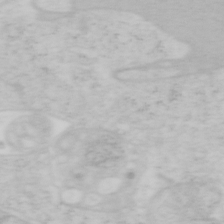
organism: Mouse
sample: OT-I killer T cells with ID8 ovarian cancer cells